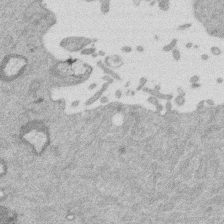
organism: Mouse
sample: Dividing mouse embryo 1 cell stage